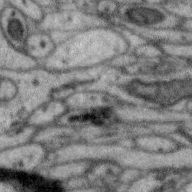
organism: Zebra finch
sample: Brain